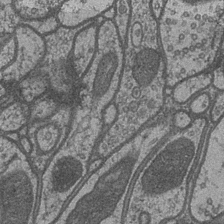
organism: Drosophila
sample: Optic medulla